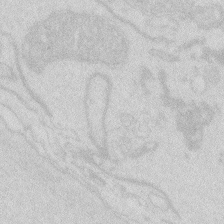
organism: Zebrafish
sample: Macrophage